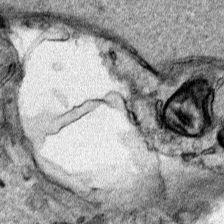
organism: Human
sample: Mitochondria in HCT116 cells